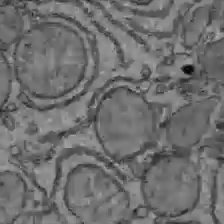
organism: C57BL Mouse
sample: Liver